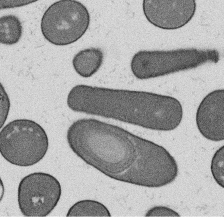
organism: B. subtilis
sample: Bacterial spore